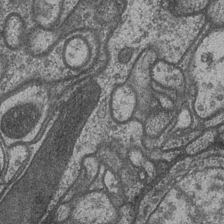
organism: Drosophila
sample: Optic medulla